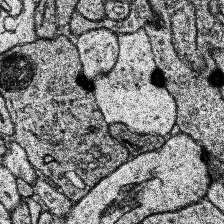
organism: Human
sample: Temporal Lobe